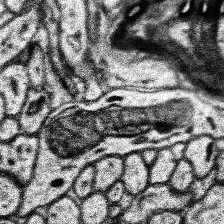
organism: Human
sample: Temporal Lobe